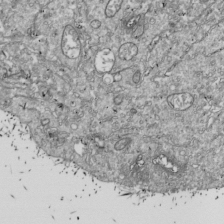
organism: Drosophila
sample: Cell division; meiosis; drosophila spermatocytes